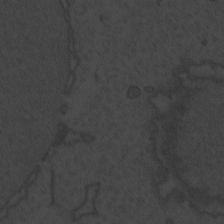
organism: Zebrafish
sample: Macrophage infected with Toxoplasma gondii